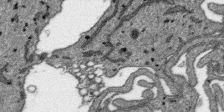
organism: Human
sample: Lung epithelial cells, uninfected (mock) control